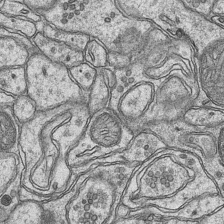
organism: Mouse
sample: CA1 Hippocampus